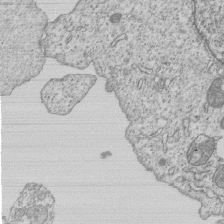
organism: Human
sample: MDA-MB-231 cells